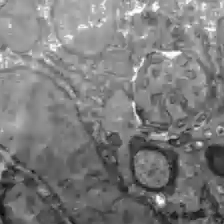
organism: C57BL Mouse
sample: Liver